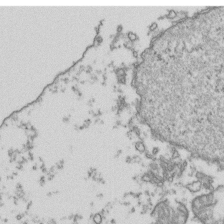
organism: Human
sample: Activated Jurkat CD4+ T cells